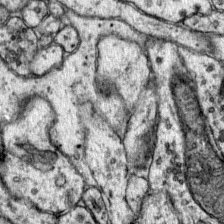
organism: Mouse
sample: Primary visual cortex